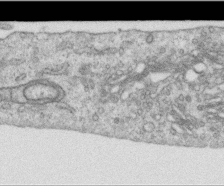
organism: Human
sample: Centriole in RPE cells